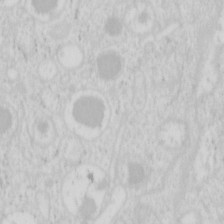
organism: Mouse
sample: Pancreas